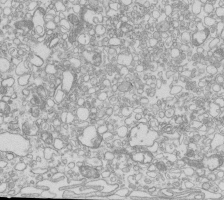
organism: Mouse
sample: Macrophages